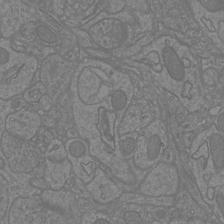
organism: Mouse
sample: Cortical neurons